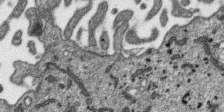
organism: Human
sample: Lung epithelial cells infected with SARS-CoV-2